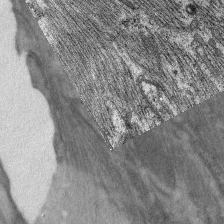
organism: C. elegans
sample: Pharynx